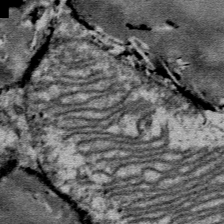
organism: Mouse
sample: Mouse Salivary gland